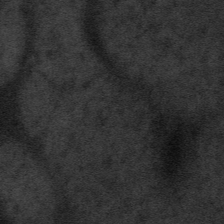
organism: Tuwongella immobilis